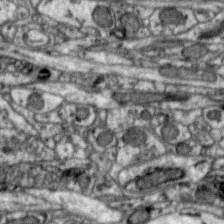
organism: Zebra finch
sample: Brain